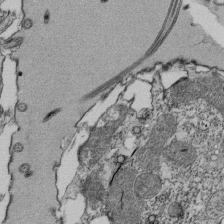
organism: Tetrahymena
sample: Cilia in tetrahymena